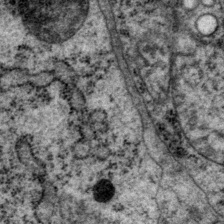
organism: P. pacificus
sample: Pharynx